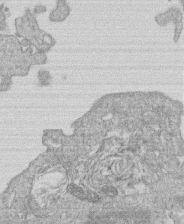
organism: Human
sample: Macrophage cells